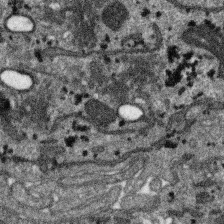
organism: Human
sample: Lung epithelial cells infected with SARS-CoV-2